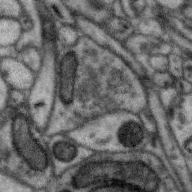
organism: Zebra finch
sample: Brain